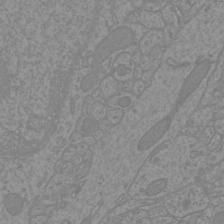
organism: Mouse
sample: Cortical neurons